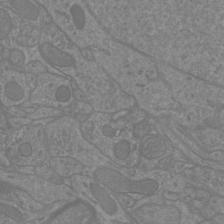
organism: Mouse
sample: Cortical neurons